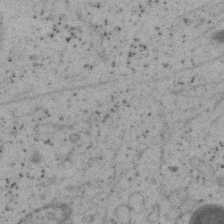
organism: Human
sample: HeLa cells